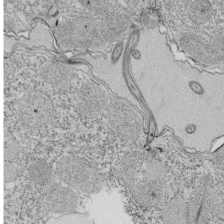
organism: Tetrahymena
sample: Cilia in tetrahymena